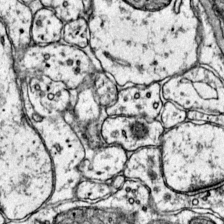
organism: Mouse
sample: Primary visual cortex